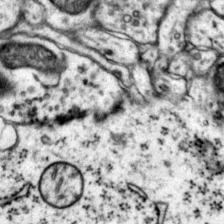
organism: Mouse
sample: Primary visual cortex